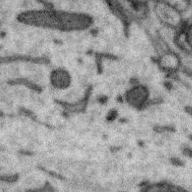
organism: Zebra finch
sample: Brain